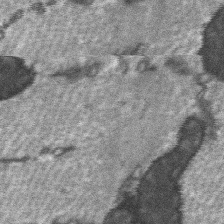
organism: C57BL Mouse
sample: Soleus